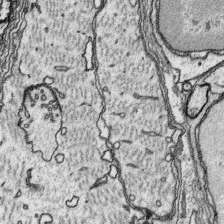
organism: Platynereis dumerilii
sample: Parapodia